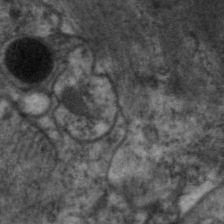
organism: C. elegans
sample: Pharynx